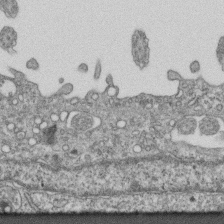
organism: Mouse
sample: Centriole in ependymal cells